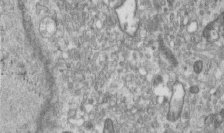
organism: Human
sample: Centriole in RPE cells